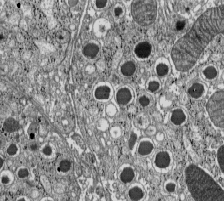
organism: C57BL Mouse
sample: Pancreatic islet